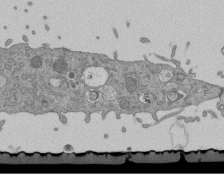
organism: Mouse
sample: ED-1 cell nuclei; centrioles